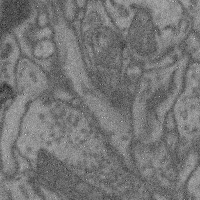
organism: Mouse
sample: Cerebral cortex